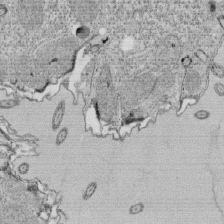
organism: Tetrahymena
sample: Cilia in tetrahymena